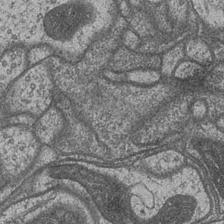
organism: Drosophila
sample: Optic medulla